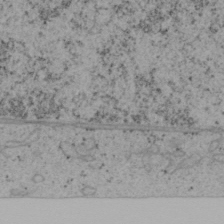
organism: Human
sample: HeLa cells